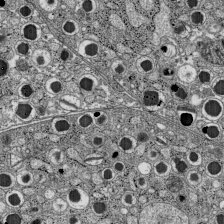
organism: C57BL Mouse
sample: Pancreatic islet